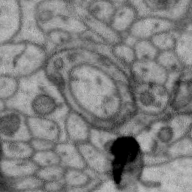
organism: Zebra finch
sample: Brain